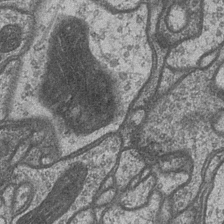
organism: Drosophila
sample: Optic medulla